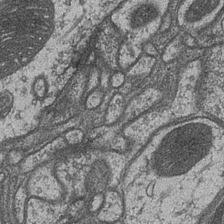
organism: Drosophila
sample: Optic medulla